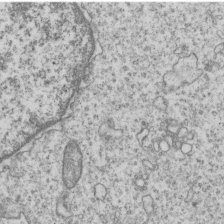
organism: Human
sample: MDA-MB-231 cells